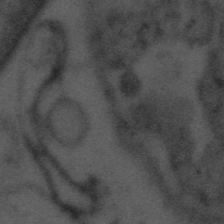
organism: Tuwongella immobilis